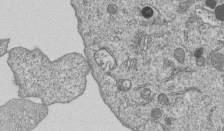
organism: Human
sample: MDA-MB-231 cells